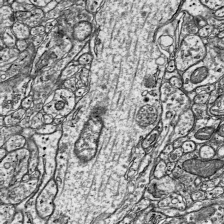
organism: Mouse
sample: Visual Cortex